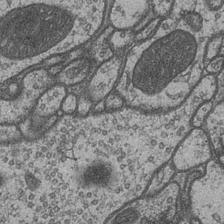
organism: Drosophila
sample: Optic medulla